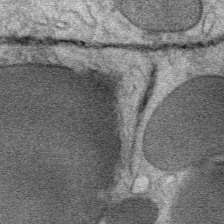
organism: Mouse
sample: Mouse Salivary gland